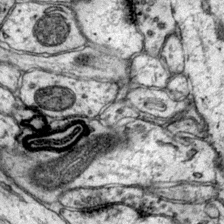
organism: Mouse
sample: Primary visual cortex